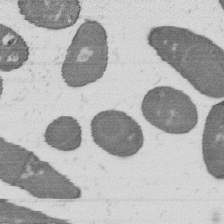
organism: B. subtilis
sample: Bacterial spore